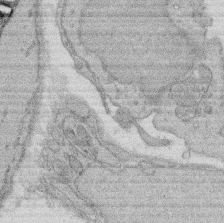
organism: Rat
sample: Salivary granule